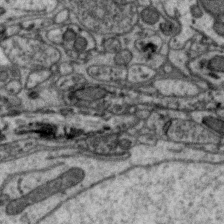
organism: Zebra finch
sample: Brain